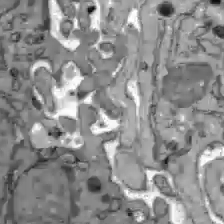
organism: C57BL Mouse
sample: Liver